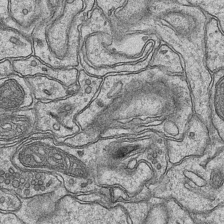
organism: Mouse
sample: CA1 Hippocampus